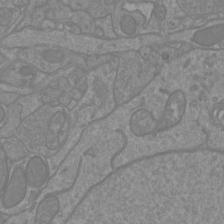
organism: Mouse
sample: Cortical neurons